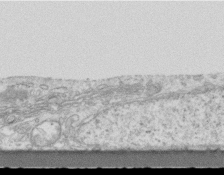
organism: Mouse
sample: Centriole in ependymal cells